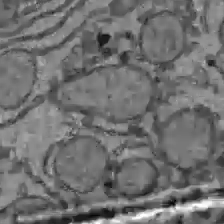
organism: C57BL Mouse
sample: Liver